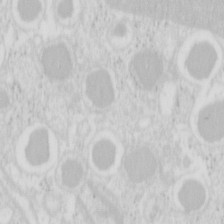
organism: Mouse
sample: Pancreas